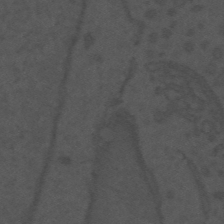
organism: Mouse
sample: Suprachiasmatic nucleus